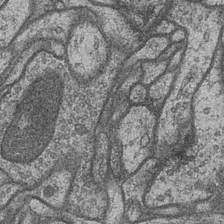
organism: Drosophila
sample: Optic medulla